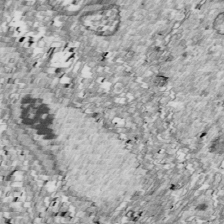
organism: Drosophila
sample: Cell division; meiosis; drosophila spermatocytes